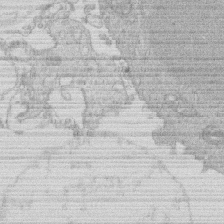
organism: Human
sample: Macrophage cells